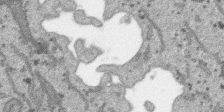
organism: Human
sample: Lung epithelial cells infected with SARS-CoV-2